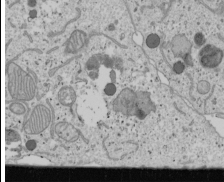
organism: Human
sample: Mitochondria in U2OS cells